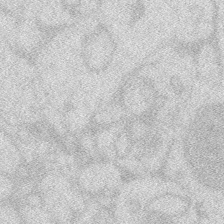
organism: Zebrafish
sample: Macrophage